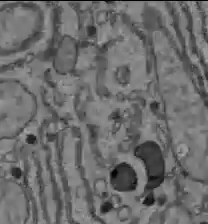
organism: C57BL Mouse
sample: Liver